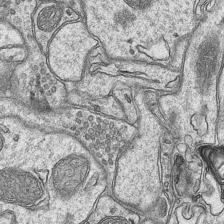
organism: Mouse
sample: CA1 Hippocampus